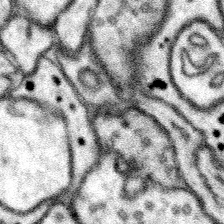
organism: Mouse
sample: Somatosensory cortex neuropil